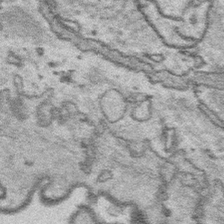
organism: Platynereis dumerilii